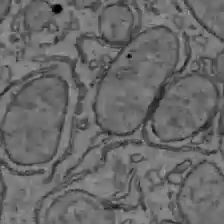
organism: C57BL Mouse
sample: Liver